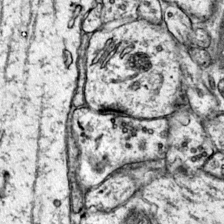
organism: Mouse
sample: Primary visual cortex